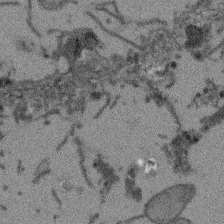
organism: Arabidopsis thaliana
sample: Root tip